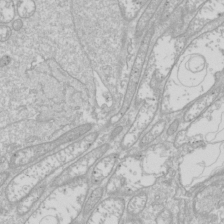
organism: Drosophila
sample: Cell division; meiosis; drosophila spermatocytes